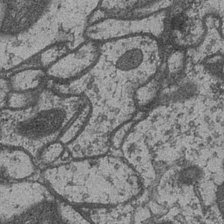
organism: Drosophila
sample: Optic medulla